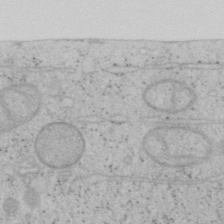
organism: Human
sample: HeLa cells